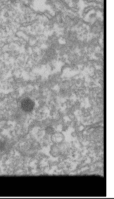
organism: Drosophila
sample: Cell division; meiosis; drosophila spermatocytes